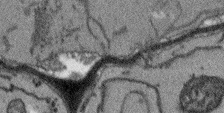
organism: Arabidopsis thaliana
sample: Root tip